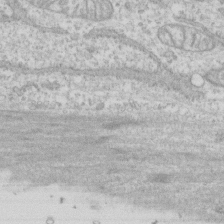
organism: Human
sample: CRL-1474